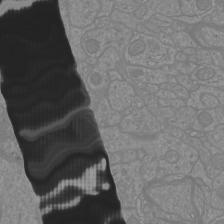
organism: Mouse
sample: Cortical neurons